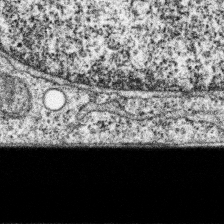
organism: Human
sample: HeLa cells